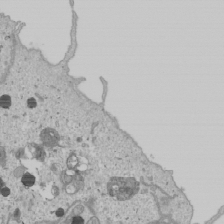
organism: Human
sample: Mitochondria in U2OS cells